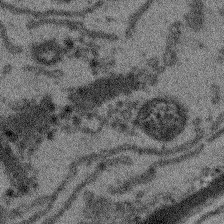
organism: Arabidopsis thaliana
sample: Root tip